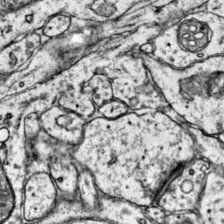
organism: Mouse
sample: Primary visual cortex